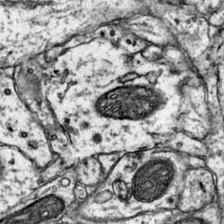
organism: Mouse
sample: Primary visual cortex